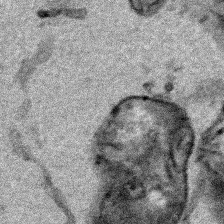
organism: Human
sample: Mitochondria in HCT116 cells